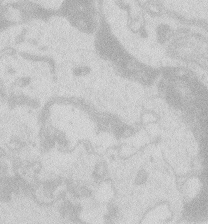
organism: Zebrafish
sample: Macrophage